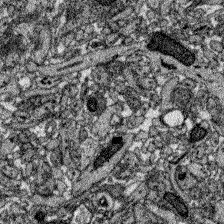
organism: Zebrafish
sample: Larval olfactory bulb